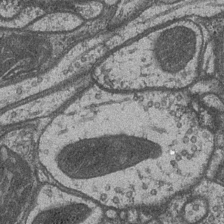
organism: Drosophila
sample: Optic medulla